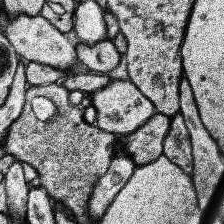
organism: Human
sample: Temporal Lobe